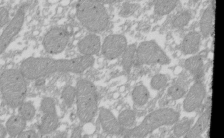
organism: Xenopus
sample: Cilia; centrioles in frog embryo cells